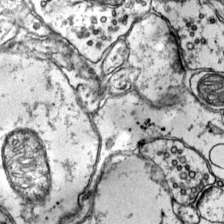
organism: Mouse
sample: Primary visual cortex